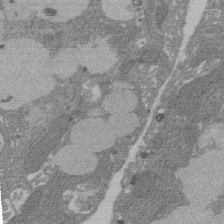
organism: Rat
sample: Salivary granule